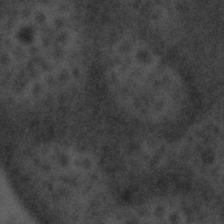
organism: Tuwongella immobilis